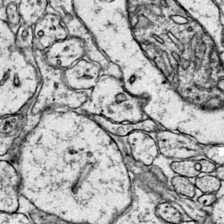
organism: Mouse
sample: Primary visual cortex